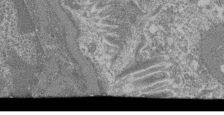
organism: Mouse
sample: Glomerulus